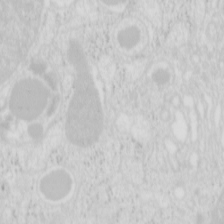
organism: Mouse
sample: Pancreas